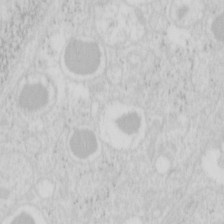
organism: Mouse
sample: Pancreas